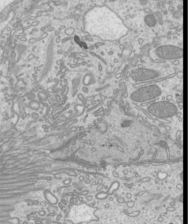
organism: Mouse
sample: Cilia; mouse epididymis